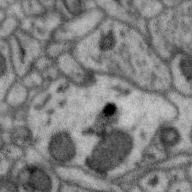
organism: Zebra finch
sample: Brain